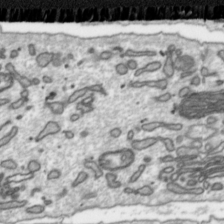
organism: Toxoplasma gondii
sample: Parasites in a vacuole inside a host cell